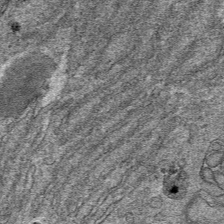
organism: Mouse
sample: Mouse hepatocytes